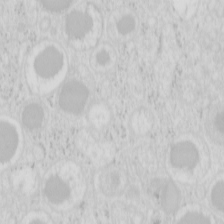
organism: Mouse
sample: Pancreas